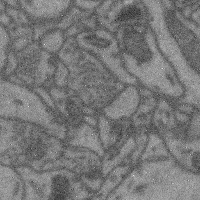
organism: Mouse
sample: Cerebral cortex